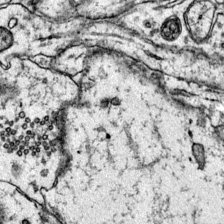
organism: Mouse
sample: Primary visual cortex